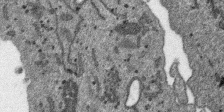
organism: Human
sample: Lung epithelial cells infected with SARS-CoV-2